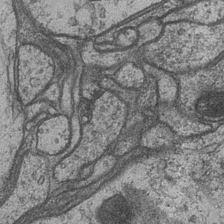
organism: Drosophila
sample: Optic medulla